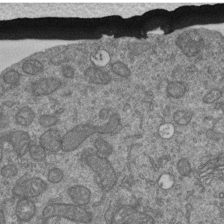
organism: Human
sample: Retinal organoid Rod and Cone cells